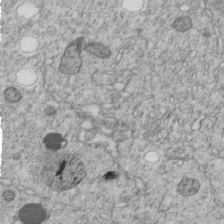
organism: C. elegans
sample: C. elegans embryo early stage